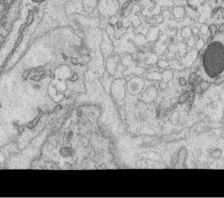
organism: C. elegans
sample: C. elegans oocyte; sperm cells